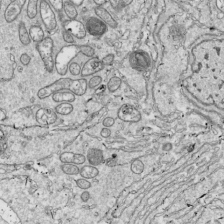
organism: Drosophila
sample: Cell division; meiosis; drosophila spermatocytes